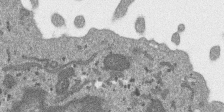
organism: Human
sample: Lung epithelial cells infected with SARS-CoV-2